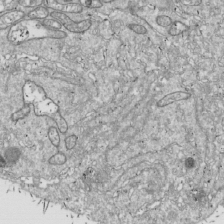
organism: Drosophila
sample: Cell division; meiosis; drosophila spermatocytes